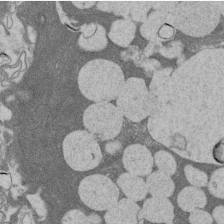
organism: Rat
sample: Salivary granule